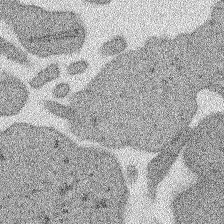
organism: Human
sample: HeLa cells